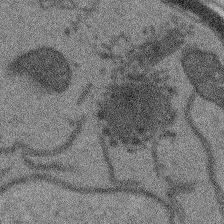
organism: Arabidopsis thaliana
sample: Root tip